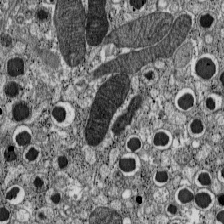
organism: C57BL Mouse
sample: Pancreatic islet